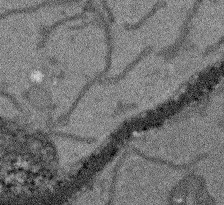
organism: Arabidopsis thaliana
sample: Root tip